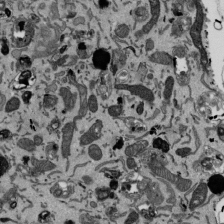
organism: Mouse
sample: ED-1 cell nuclei; centrioles